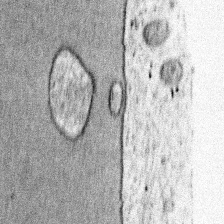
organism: Human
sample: HeLa cells